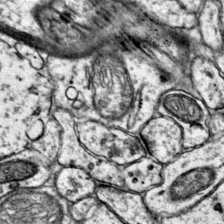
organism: Mouse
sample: Primary visual cortex